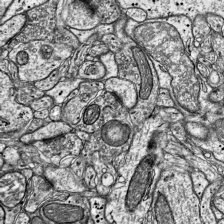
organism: Mouse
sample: Visual Cortex